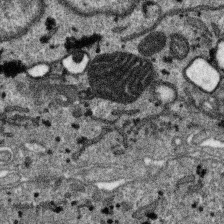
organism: Human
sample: Lung epithelial cells infected with SARS-CoV-2